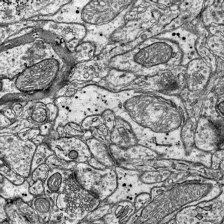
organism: Mouse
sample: Visual Cortex